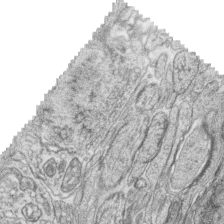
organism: Zebrafish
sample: synaptic ribbons in rod cells and cone cells